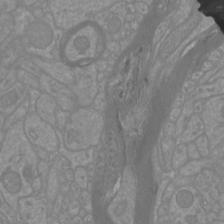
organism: Mouse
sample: Cortical neurons